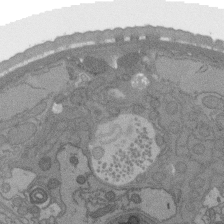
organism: C. elegans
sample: AFD neurons C. elegans